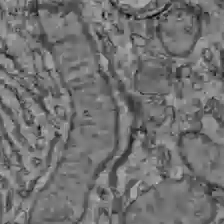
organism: C57BL Mouse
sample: Liver